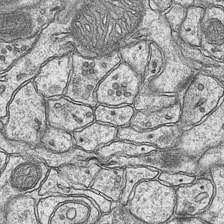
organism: Mouse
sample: CA1 Hippocampus